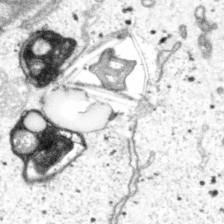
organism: Human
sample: HeLa cells